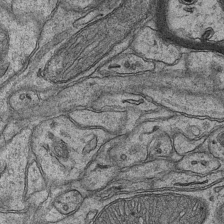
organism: Mouse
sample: CA1 Hippocampus